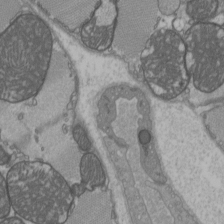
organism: C57BL Mouse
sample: Heart